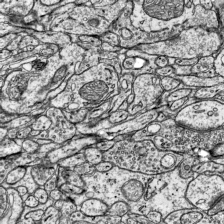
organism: Mouse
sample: Visual Cortex